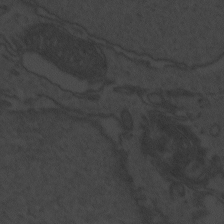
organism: Zebrafish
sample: Macrophage infected with Toxoplasma gondii